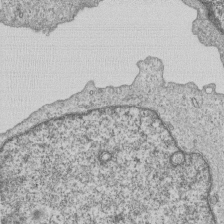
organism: Human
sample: MDA-MB-231 cells